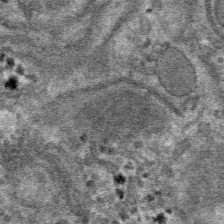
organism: Mouse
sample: Mouse hepatocytes